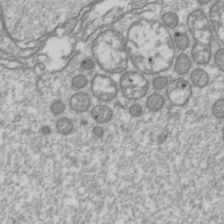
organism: Drosophila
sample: Cell division; meiosis; drosophila spermatocytes